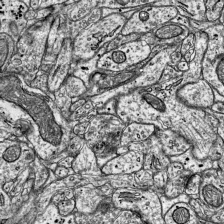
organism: Mouse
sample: Visual Cortex